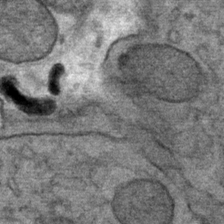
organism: Mouse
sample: Mouse Salivary gland